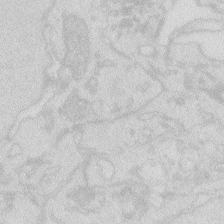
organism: Zebrafish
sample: Macrophage